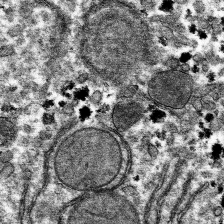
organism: Mouse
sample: Mouse hepatocytes